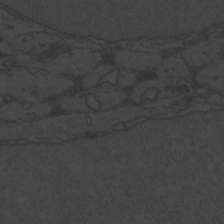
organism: Zebrafish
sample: Macrophage infected with Toxoplasma gondii